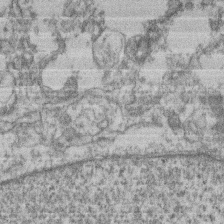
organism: Mouse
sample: T cell stromal cell synapse